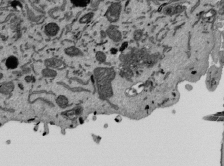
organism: Mouse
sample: ED-1 cell nuclei; centrioles